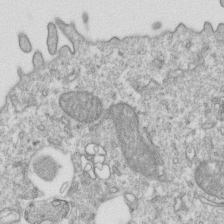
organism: Mouse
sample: Activated OT-1 CD8+ T cells